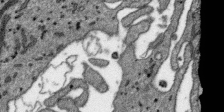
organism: Human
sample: Lung epithelial cells, uninfected (mock) control